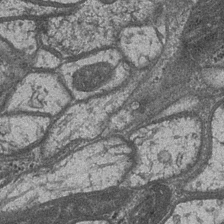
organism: Drosophila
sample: Optic medulla